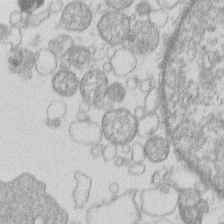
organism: Human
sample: Macrophage cells